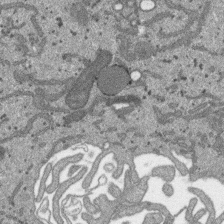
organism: Human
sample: Lung epithelial cells infected with SARS-CoV-2